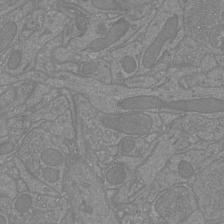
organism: Mouse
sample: Cortical neurons